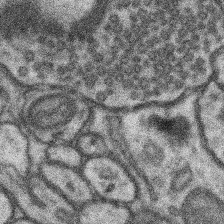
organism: Mouse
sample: Somatosensory cortex neuropil